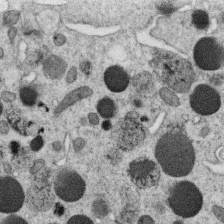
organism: C. elegans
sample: C. elegans oocyte; sperm cells